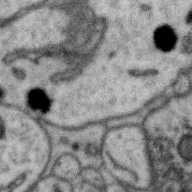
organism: Zebra finch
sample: Brain